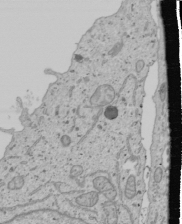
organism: Human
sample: Mitochondria in U2OS cells